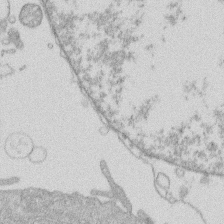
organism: Human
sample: Macrophage cells